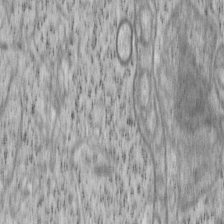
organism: Human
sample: HeLa cells